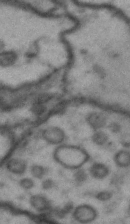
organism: Drosophila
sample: Brain